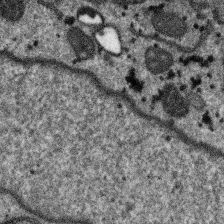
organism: Human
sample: Lung epithelial cells infected with SARS-CoV-2